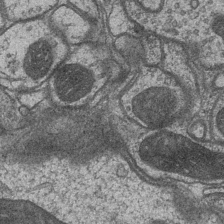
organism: Drosophila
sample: Optic medulla